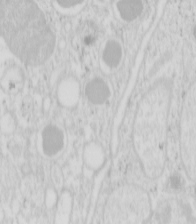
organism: Mouse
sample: Pancreas